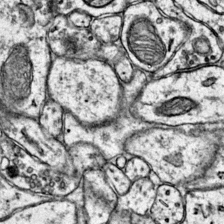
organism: Mouse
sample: Primary visual cortex